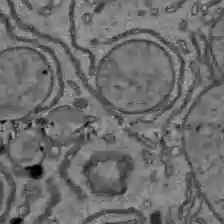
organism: C57BL Mouse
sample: Liver